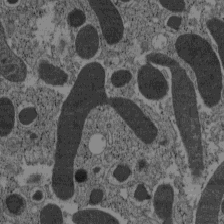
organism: C57BL Mouse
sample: Pancreatic islet